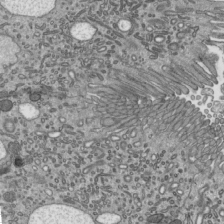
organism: Mouse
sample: Mouse epididymis efferent ductule cilia